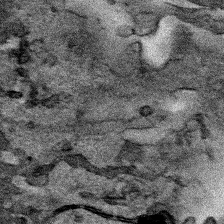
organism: Human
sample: Mitochondria in HCT116 cells